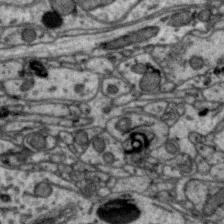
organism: Zebra finch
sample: Brain